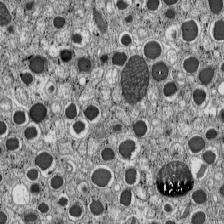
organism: C57BL Mouse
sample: Pancreatic islet